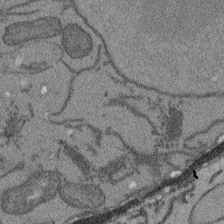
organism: Arabidopsis thaliana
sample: Root tip